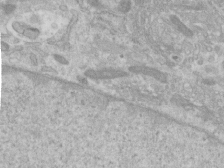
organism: Human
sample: Centriole in RPE cells